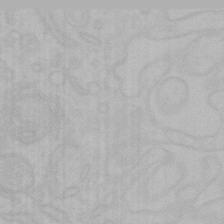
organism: Mouse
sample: Choroid plexus